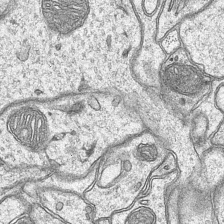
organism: Mouse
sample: CA1 Hippocampus